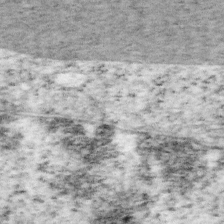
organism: Mouse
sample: OT-I killer T cells with ID8 ovarian cancer cells